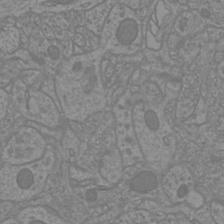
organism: Mouse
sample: Cortical neurons